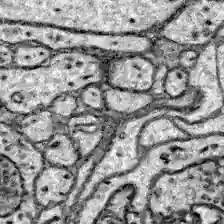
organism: Zebrafish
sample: Brain